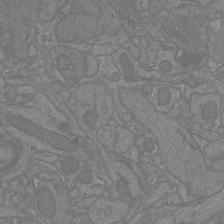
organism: Mouse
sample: Cortical neurons